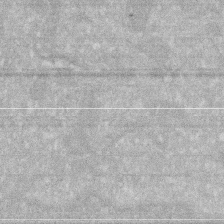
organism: Human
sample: HIV infected U937 cells